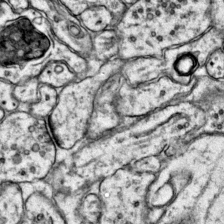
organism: Mouse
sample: Primary visual cortex